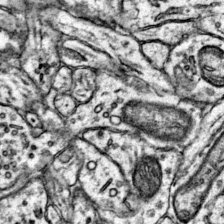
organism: Mouse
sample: Primary visual cortex